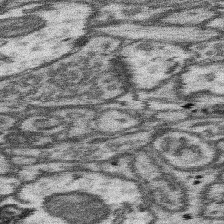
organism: Mouse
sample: Somatosensory cortex neuropil